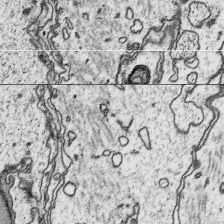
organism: Platynereis dumerilii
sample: Parapodia